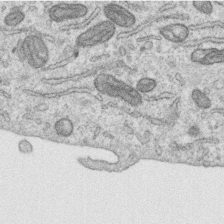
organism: Human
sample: Centriole in RPE cells